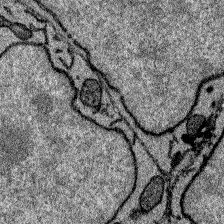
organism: Zebrafish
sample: Larval olfactory bulb